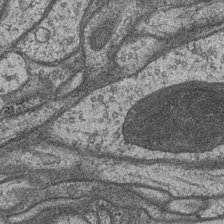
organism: Drosophila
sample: Optic medulla